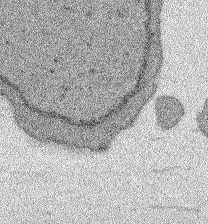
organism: Human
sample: HeLa cells